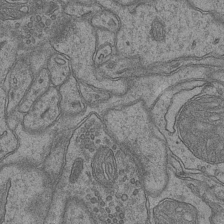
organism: Mouse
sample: CA1 Hippocampus